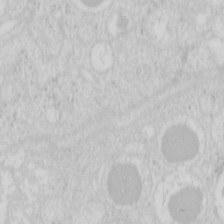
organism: Mouse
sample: Pancreas